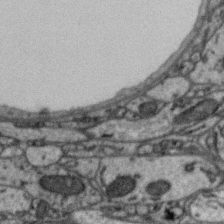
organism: Zebra finch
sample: Brain